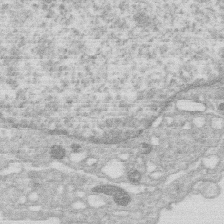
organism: Human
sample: Macrophage cells